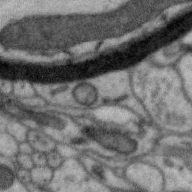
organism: Zebra finch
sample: Brain